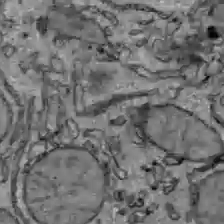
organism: C57BL Mouse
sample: Liver